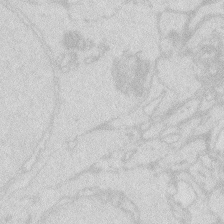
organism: Zebrafish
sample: Macrophage